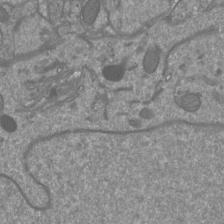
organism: Mouse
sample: Cortical neurons